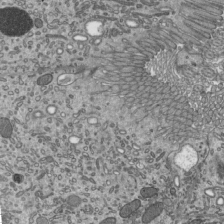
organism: Mouse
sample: Mouse epididymis efferent ductule cilia